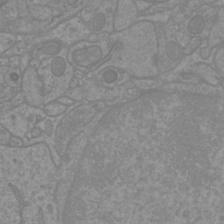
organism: Mouse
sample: Cortical neurons